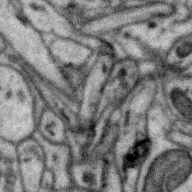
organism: Zebra finch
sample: Brain